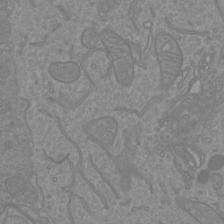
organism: Mouse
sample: Cortical neurons